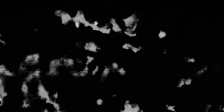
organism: Human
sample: Lung epithelial cells, uninfected (mock) control